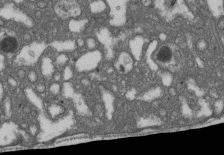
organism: Drosophila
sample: Nephrocyte